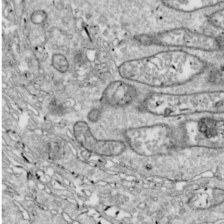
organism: Drosophila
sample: Cell division; meiosis; drosophila spermatocytes